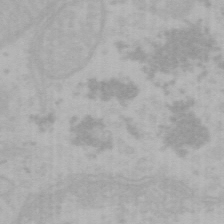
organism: Mouse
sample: Choroid plexus